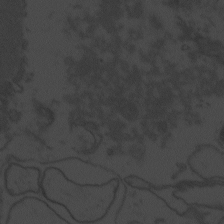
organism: Zebrafish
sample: Macrophage infected with Toxoplasma gondii